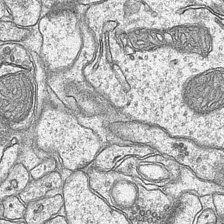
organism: Mouse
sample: CA1 Hippocampus